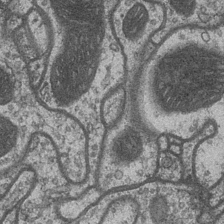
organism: Drosophila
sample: Optic medulla